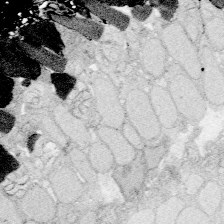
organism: Zebrafish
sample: Whole-Brain